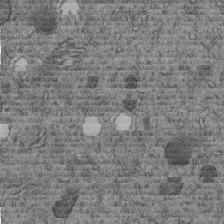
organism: C. elegans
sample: C. elegans embryo early stage